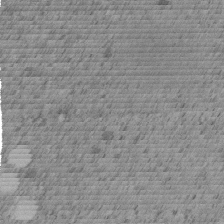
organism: C. elegans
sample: C. elegans embryo early stage